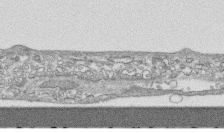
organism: Human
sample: CRL-1474